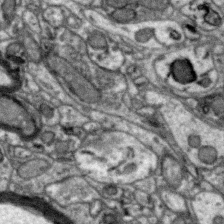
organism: Zebra finch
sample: Brain